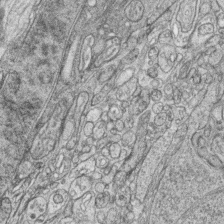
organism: Zebrafish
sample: synaptic ribbons in rod cells and cone cells